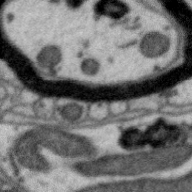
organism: Zebra finch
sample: Brain